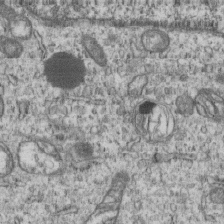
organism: Human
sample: MDA-MB-231 cells